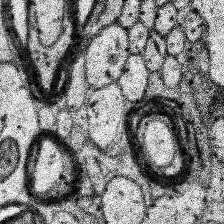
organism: Human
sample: Temporal Lobe